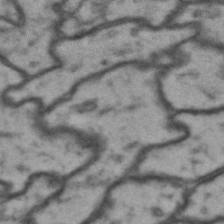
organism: Drosophila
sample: Brain